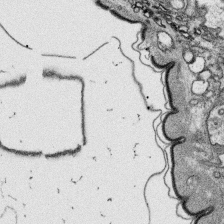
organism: Platynereis dumerilii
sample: Parapodia